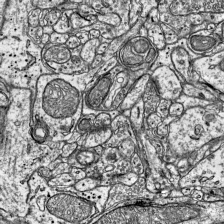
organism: Mouse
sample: Visual Cortex